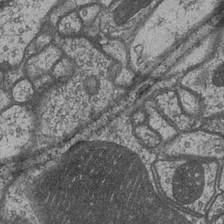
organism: Drosophila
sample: Optic medulla